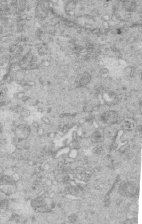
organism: Mouse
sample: Multiciliated cells